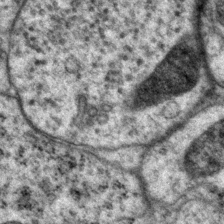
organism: P. pacificus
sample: Pharynx